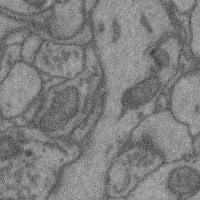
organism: Mouse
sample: Cerebral cortex